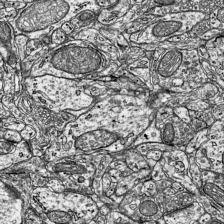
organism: Mouse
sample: Visual Cortex